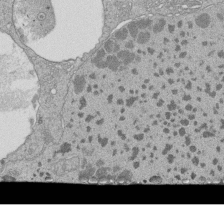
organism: Tetrahymena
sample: Cilia in tetrahymena